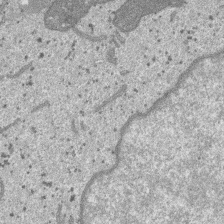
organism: Human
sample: Lung epithelial cells infected with SARS-CoV-2